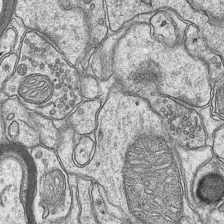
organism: Mouse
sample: CA1 Hippocampus